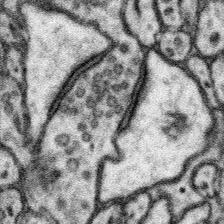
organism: Mouse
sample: Somatosensory cortex neuropil